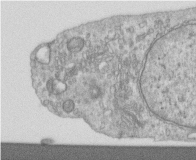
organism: Human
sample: Centriole in RPE cells